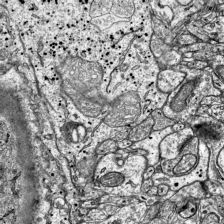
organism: Mouse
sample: Visual Cortex